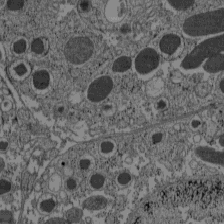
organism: C57BL Mouse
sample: Pancreatic islet